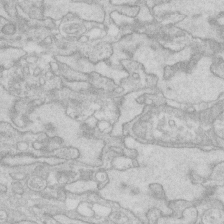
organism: Human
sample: Fibroblast cells